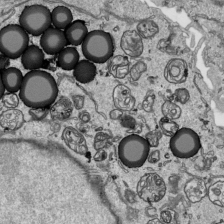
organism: Human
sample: Mitochondria in HCT116 cells